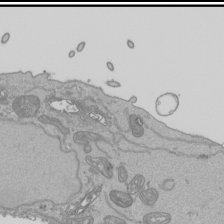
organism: Human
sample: Mitochondria in HCT116 cells